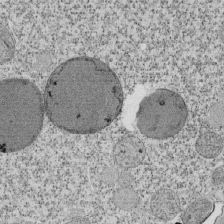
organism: Tetrahymena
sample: Cilia in tetrahymena